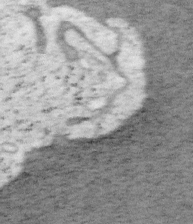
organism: Mouse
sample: OT-I killer T cells with ID8 ovarian cancer cells